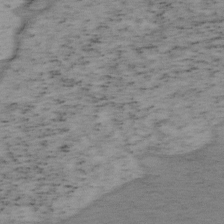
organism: Mouse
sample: OT-I killer T cells with ID8 ovarian cancer cells